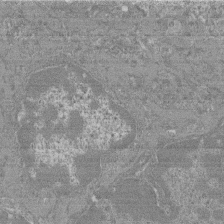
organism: Mouse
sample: Glomerulus